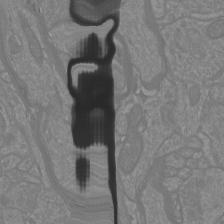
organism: Mouse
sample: Cortical neurons